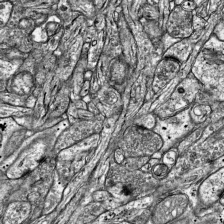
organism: Mouse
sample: Visual Cortex